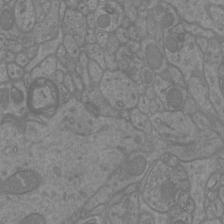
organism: Mouse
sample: Cortical neurons